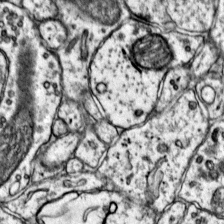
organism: Mouse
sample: Primary visual cortex